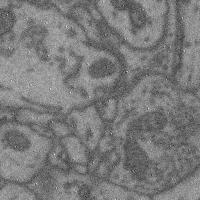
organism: Mouse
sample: Cerebral cortex